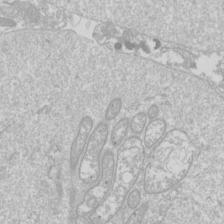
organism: Drosophila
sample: Cell division; meiosis; drosophila spermatocytes